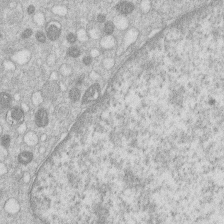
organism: Human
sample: Macrophage cells